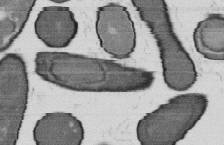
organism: B. subtilis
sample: Bacterial spore